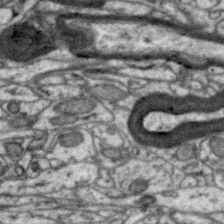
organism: Zebra finch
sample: Brain